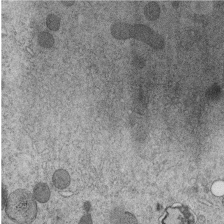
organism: C. elegans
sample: C. elegans embryo early stage